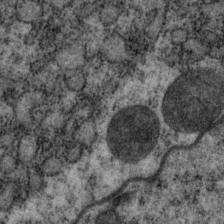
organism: P. pacificus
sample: Pharynx